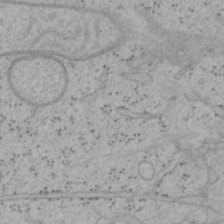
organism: Human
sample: HeLa cells